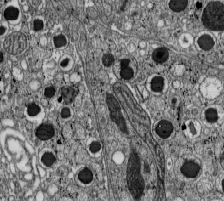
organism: C57BL Mouse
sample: Pancreatic islet